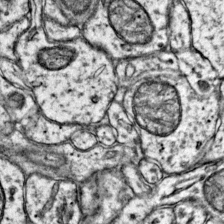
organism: Mouse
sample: Primary visual cortex